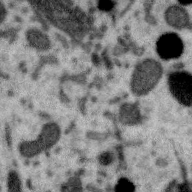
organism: Zebra finch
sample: Brain